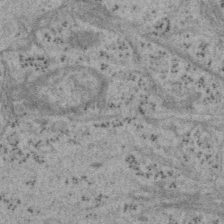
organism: Human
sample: HeLa cells